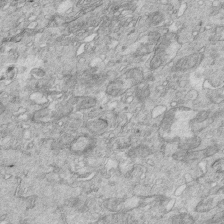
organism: Mouse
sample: Multiciliated cells